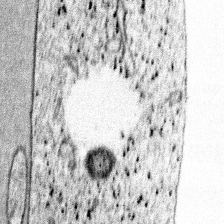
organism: Human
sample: HeLa cells